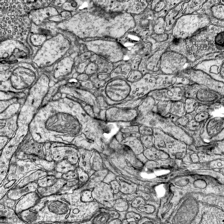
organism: Mouse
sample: Visual Cortex